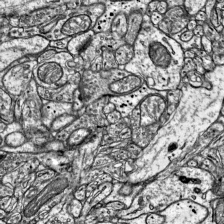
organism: Mouse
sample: Visual Cortex